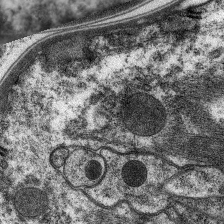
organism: C. elegans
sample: Pharynx